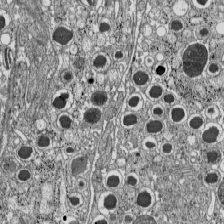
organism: C57BL Mouse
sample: Pancreatic islet